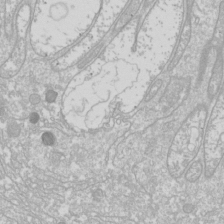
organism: Drosophila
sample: Cell division; meiosis; drosophila spermatocytes